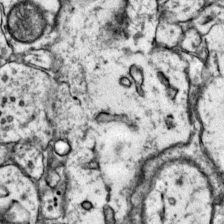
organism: Mouse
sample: Primary visual cortex